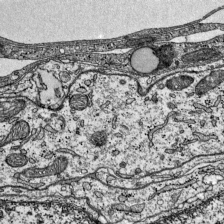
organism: Mouse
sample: Visual Cortex